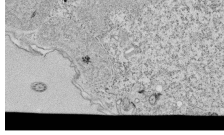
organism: Tetrahymena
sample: Cilia in tetrahymena